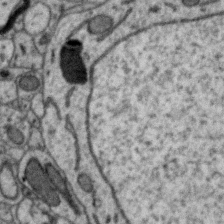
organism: Zebra finch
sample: Brain